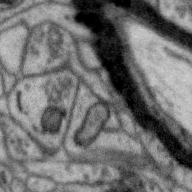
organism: Zebra finch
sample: Brain